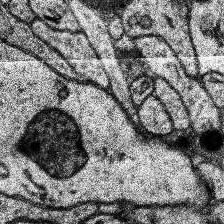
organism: Human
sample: Temporal Lobe